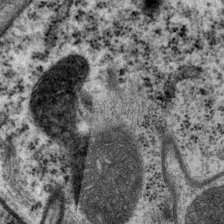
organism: P. pacificus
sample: Pharynx